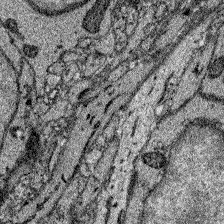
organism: Zebrafish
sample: Larval olfactory bulb